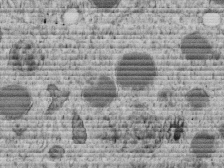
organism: C. elegans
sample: C. elegans embryo early stage